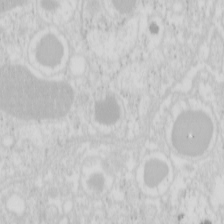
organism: Mouse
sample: Pancreas